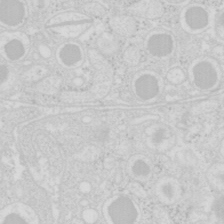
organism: Mouse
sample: Pancreas